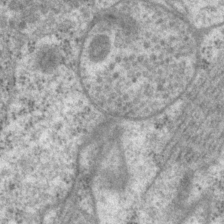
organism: P. pacificus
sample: Pharynx